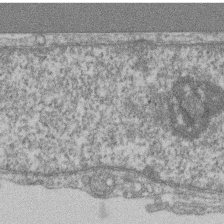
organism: Mouse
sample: T cell stromal cell synapse